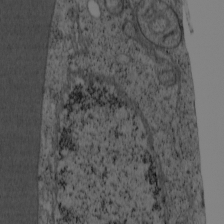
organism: African green monkey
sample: COS-7 cells